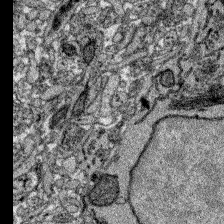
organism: Zebrafish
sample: Larval olfactory bulb